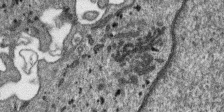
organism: Human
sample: Lung epithelial cells infected with SARS-CoV-2